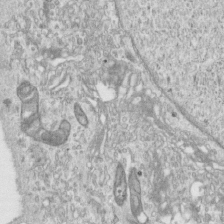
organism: Human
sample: Centriole in RPE cells